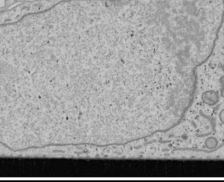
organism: Human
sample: Mitochondria in U2OS cells